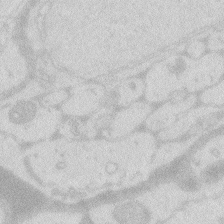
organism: Zebrafish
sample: Macrophage